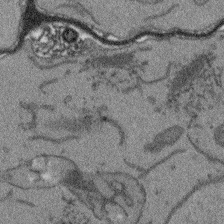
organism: Arabidopsis thaliana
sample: Root tip